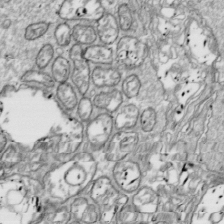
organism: Drosophila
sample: Cell division; meiosis; drosophila spermatocytes